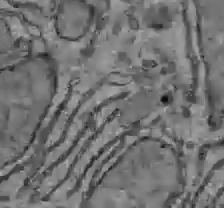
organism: C57BL Mouse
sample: Liver